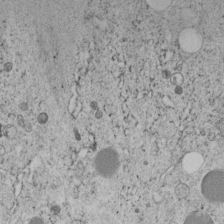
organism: C. elegans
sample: C. elegans embryo early stage